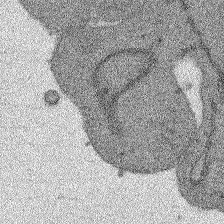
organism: Human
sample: HeLa cells